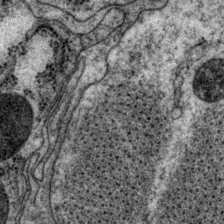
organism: P. pacificus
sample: Pharynx